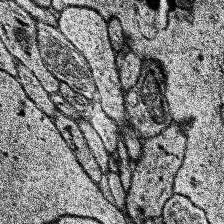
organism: Human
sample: Temporal Lobe